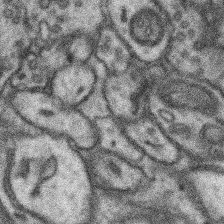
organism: Mouse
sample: Somatosensory cortex neuropil